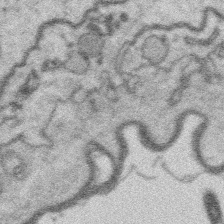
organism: Platynereis dumerilii